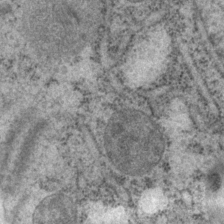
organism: P. pacificus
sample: Pharynx